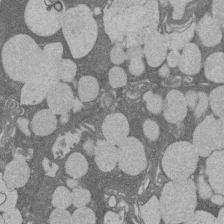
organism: Rat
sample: Salivary granule